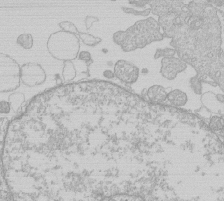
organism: Human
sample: Macrophage cells